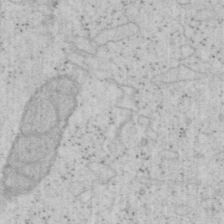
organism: Human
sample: HeLa cells